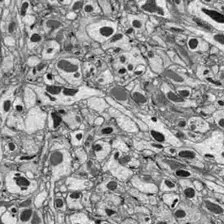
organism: Drosophila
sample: Optic lobe